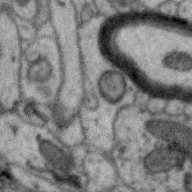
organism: Zebra finch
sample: Brain